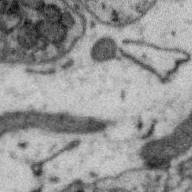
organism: Zebra finch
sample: Brain